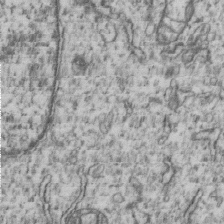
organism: Human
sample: MDA-MB-231 cells